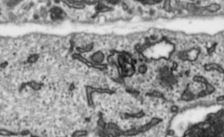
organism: Toxoplasma gondii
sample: Parasites in a vacuole inside a host cell